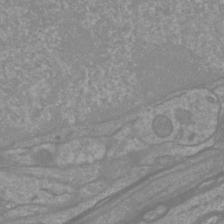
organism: Mouse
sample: Cortical neurons